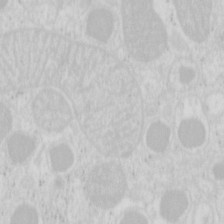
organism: Mouse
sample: Pancreas